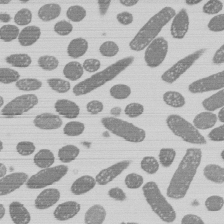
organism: E. coli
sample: Bacterial nucleoid